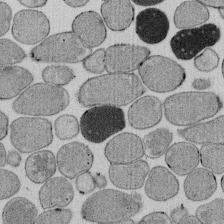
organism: E. coli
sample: Bacterial nucleoid